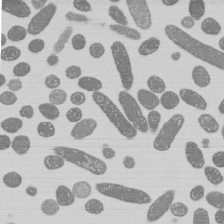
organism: E. coli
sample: Bacterial nucleoid